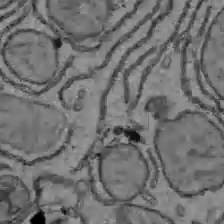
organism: C57BL Mouse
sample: Liver